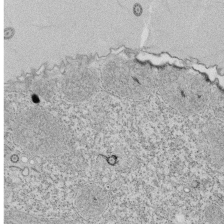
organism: Tetrahymena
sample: Cilia in tetrahymena